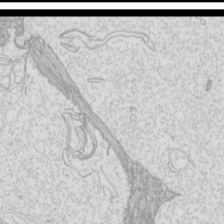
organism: Mouse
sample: Cilia; mouse epididymis